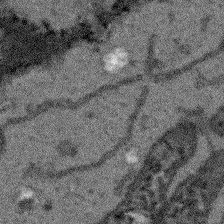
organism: Arabidopsis thaliana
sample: Root tip